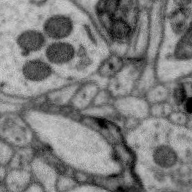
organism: Zebra finch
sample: Brain